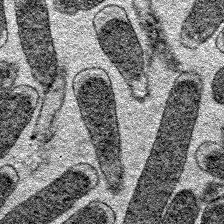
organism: E. coli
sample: E. Coli Bacteria